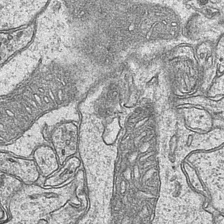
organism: Mouse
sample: CA1 Hippocampus